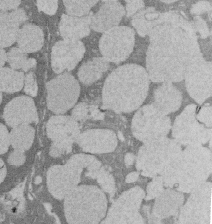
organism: Rat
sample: Salivary granule